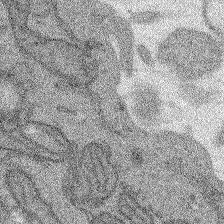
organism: Human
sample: HeLa cells